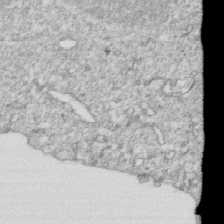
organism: Mouse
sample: Activated OT-1 CD8+ T cells